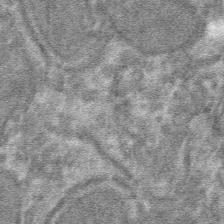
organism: Mouse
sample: Mouse hepatocytes